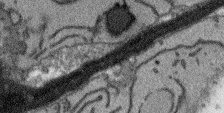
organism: Arabidopsis thaliana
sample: Root tip